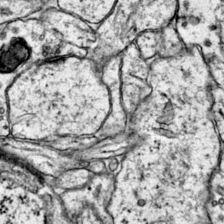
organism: Mouse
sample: Primary visual cortex